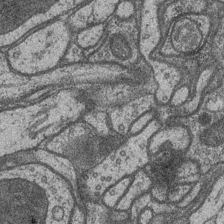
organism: Drosophila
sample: Optic medulla